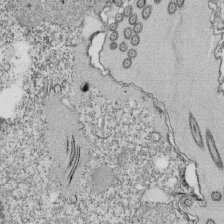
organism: Tetrahymena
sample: Cilia in tetrahymena